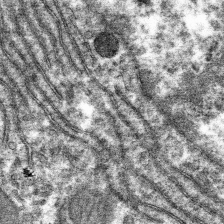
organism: Mouse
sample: Mouse hepatocytes